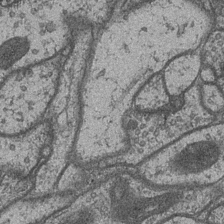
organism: Drosophila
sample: Optic medulla